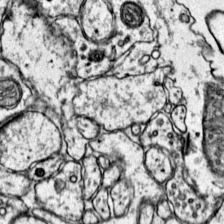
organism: Mouse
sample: Primary visual cortex